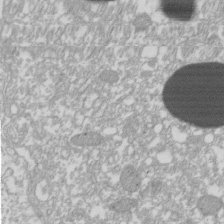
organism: Xenopus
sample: Cilia; centrioles in frog embryo cells